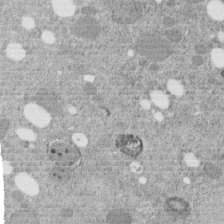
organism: C. elegans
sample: C. elegans embryo early stage